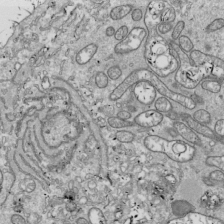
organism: Drosophila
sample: Cell division; meiosis; drosophila spermatocytes